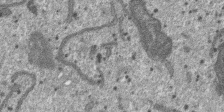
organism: Human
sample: Lung epithelial cells infected with SARS-CoV-2